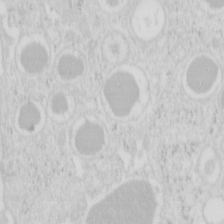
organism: Mouse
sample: Pancreas